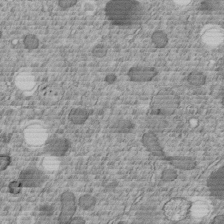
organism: C. elegans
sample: C. elegans embryo early stage